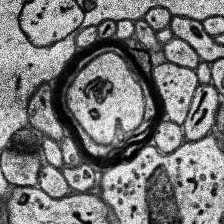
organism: Human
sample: Temporal Lobe